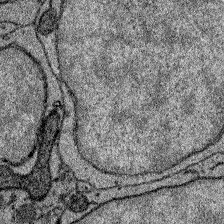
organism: Zebrafish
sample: Larval olfactory bulb